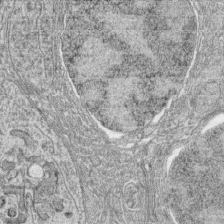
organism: Zebrafish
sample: synaptic ribbons in rod cells and cone cells